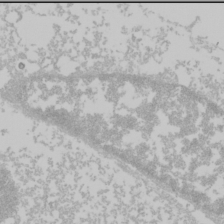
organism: Mouse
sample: Cancer cell death in ED-1 cells